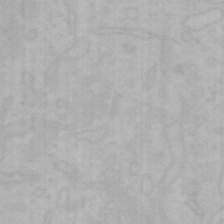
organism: Mouse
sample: Choroid plexus